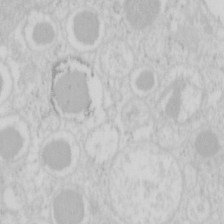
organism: Mouse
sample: Pancreas